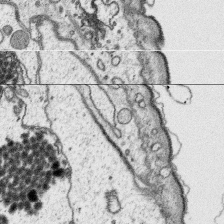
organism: Platynereis dumerilii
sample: Parapodia